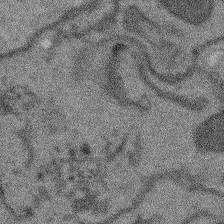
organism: Arabidopsis thaliana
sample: Root tip